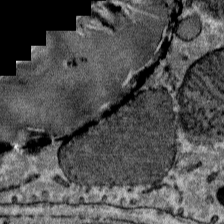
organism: Mouse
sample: Mouse Salivary gland